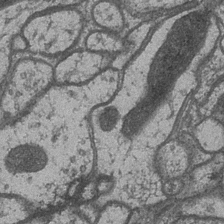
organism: Drosophila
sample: Optic medulla